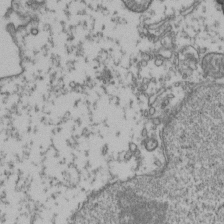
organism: Human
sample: Activated Jurkat CD4+ T cells